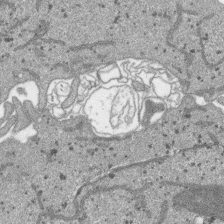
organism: Human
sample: Lung epithelial cells infected with SARS-CoV-2